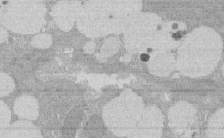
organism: Rat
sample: Salivary granule